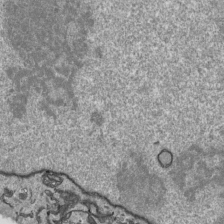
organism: Human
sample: Mitochondria in HCT116 cells